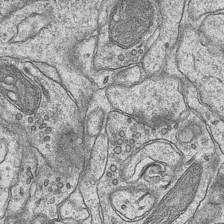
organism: Mouse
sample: CA1 Hippocampus